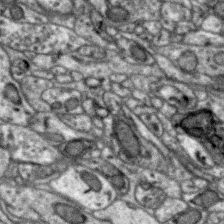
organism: Zebra finch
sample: Brain